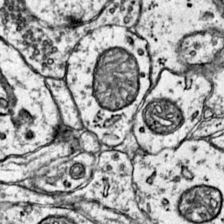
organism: Mouse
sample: Primary visual cortex